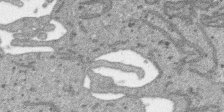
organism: Human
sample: Lung epithelial cells infected with SARS-CoV-2